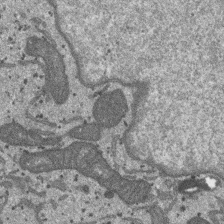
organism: Human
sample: Lung epithelial cells infected with SARS-CoV-2